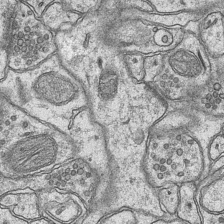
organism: Mouse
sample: CA1 Hippocampus